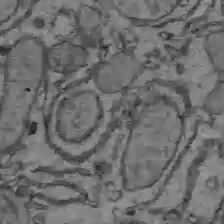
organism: C57BL Mouse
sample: Liver